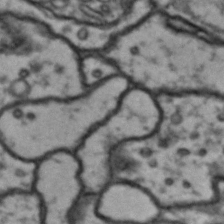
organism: Drosophila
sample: Brain